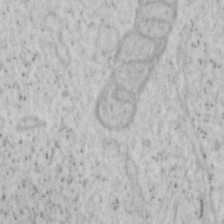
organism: Human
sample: HeLa cells